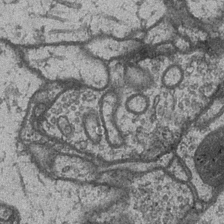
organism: Drosophila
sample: Optic medulla